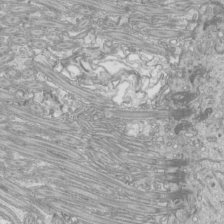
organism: Mouse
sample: Cilia; mouse epididymis